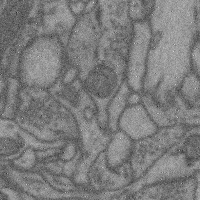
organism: Mouse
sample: Cerebral cortex